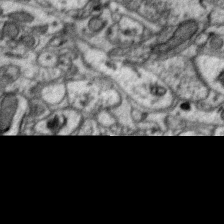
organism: Zebra finch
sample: Brain